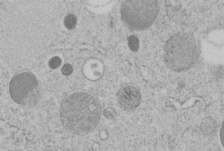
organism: C. elegans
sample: C. elegans embryo early stage